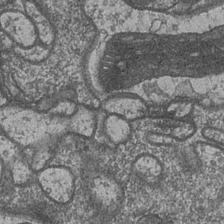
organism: Drosophila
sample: Optic medulla